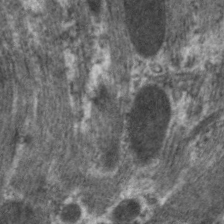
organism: C. elegans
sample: Pharynx